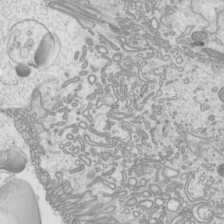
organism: Mouse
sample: Cilia; mouse epididymis